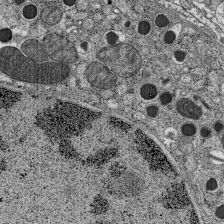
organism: C57BL Mouse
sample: Pancreatic islet